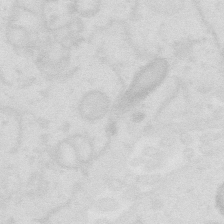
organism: Human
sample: HeLa cells